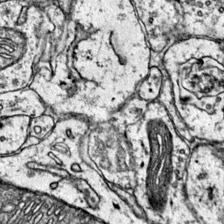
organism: Mouse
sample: Primary visual cortex